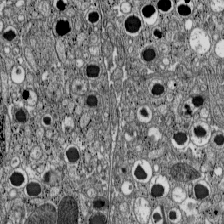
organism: C57BL Mouse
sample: Pancreatic islet